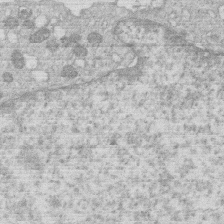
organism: Human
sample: Macrophage cells